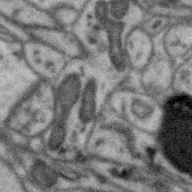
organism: Zebra finch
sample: Brain